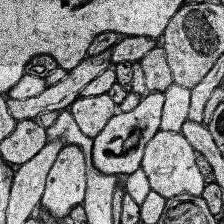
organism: Human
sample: Temporal Lobe